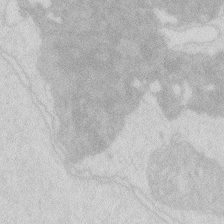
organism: Zebrafish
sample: Macrophage